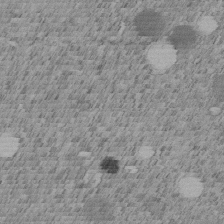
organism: C. elegans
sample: C. elegans embryo early stage